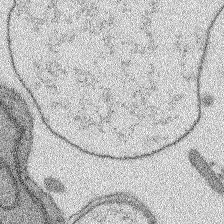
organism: Human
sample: HeLa cells